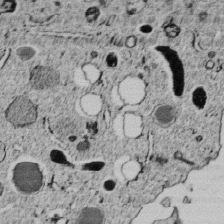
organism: C. elegans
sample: C. elegans embryo early stage